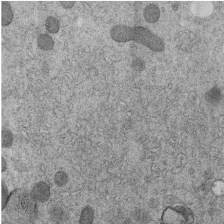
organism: C. elegans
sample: C. elegans embryo early stage